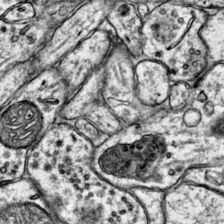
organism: Mouse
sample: Primary visual cortex